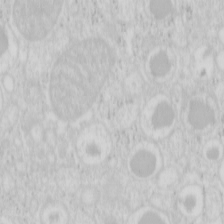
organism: Mouse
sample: Pancreas